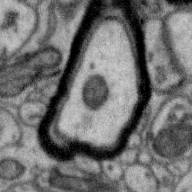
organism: Zebra finch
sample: Brain